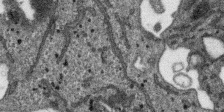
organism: Human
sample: Lung epithelial cells infected with SARS-CoV-2